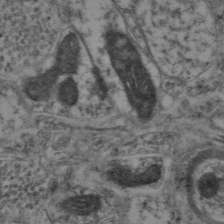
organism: Mouse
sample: Neocortex